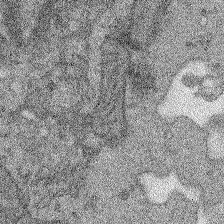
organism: Human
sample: HeLa cells